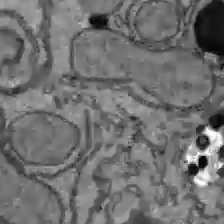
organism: C57BL Mouse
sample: Liver